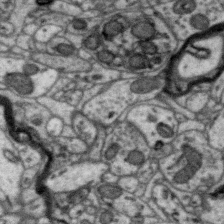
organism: Zebra finch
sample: Brain